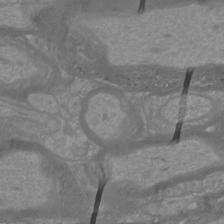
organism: Mouse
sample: Cortical neurons